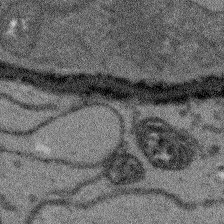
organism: Arabidopsis thaliana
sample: Root tip